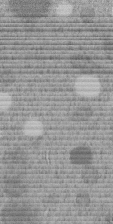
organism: C. elegans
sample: C. elegans embryo early stage